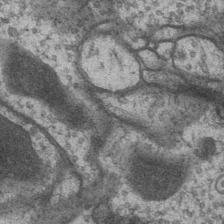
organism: Drosophila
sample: Optic medulla